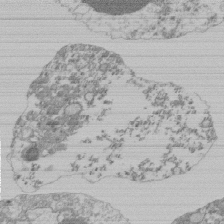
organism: Mouse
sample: Activated Pmel transgenic CD8+ T Cells